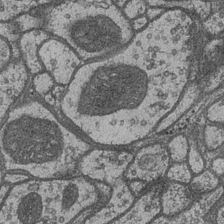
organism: Drosophila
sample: Optic medulla